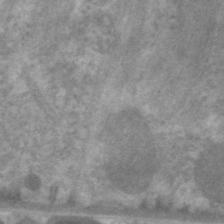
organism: C. elegans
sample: Pharynx